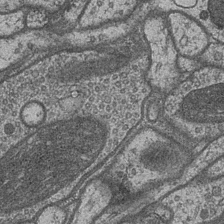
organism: Drosophila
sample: Optic medulla